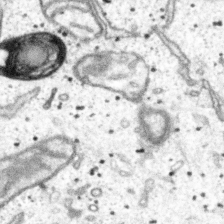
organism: Human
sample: HeLa cells